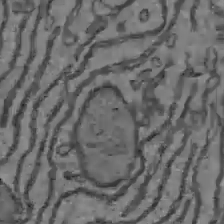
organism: C57BL Mouse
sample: Liver